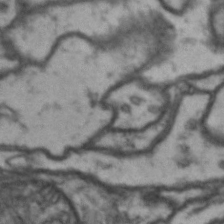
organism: Drosophila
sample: Brain